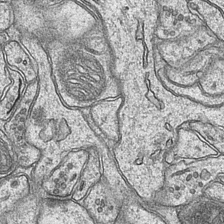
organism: Mouse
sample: CA1 Hippocampus